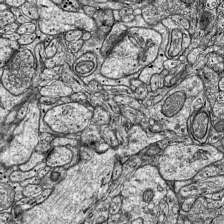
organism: Mouse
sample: Visual Cortex